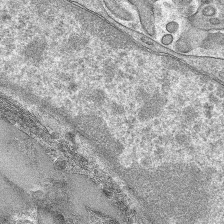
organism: Mouse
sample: Mouse hepatocytes